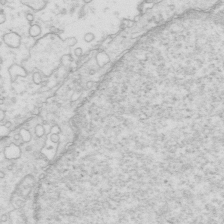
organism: Mouse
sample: Multiciliated cells